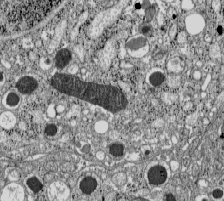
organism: C57BL Mouse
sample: Pancreatic islet